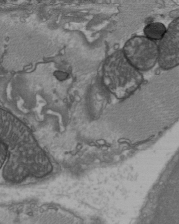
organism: C57BL Mouse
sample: Heart